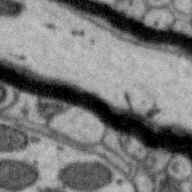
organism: Zebra finch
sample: Brain